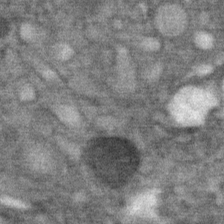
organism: Mouse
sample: Mouse Salivary gland